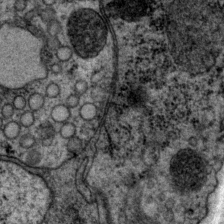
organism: P. pacificus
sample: Pharynx